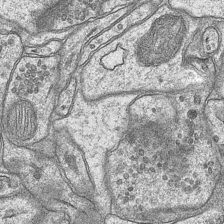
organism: Mouse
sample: CA1 Hippocampus